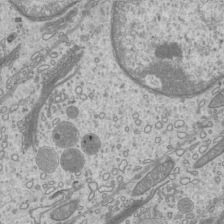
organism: Mouse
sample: Cilia; mouse epididymis